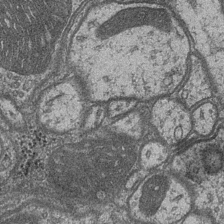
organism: Drosophila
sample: Optic medulla